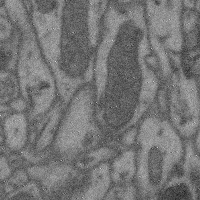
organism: Mouse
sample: Cerebral cortex